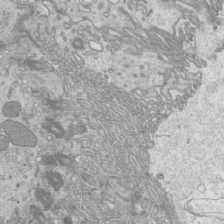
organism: Mouse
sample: Cilia; mouse epididymis